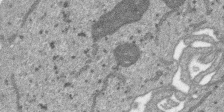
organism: Human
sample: Lung epithelial cells infected with SARS-CoV-2